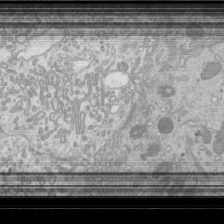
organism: Mouse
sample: Cilia; mouse epididymis